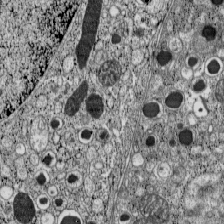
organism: C57BL Mouse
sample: Pancreatic islet